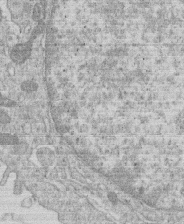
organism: Human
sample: Macrophage cells